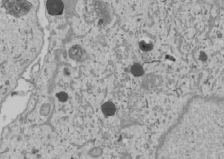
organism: Human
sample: Mitochondria in U2OS cells